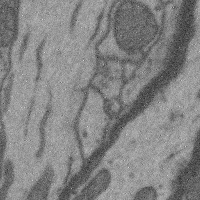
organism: Mouse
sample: Cerebral cortex